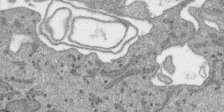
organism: Human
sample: Lung epithelial cells infected with SARS-CoV-2